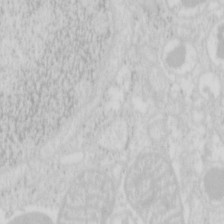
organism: Mouse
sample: Pancreas